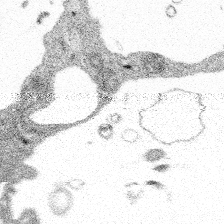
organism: Spongilla lacustris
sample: Multiple